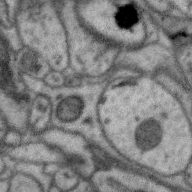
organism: Zebra finch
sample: Brain